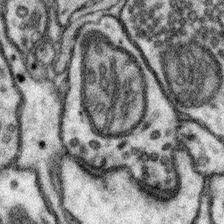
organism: Mouse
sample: Somatosensory cortex neuropil